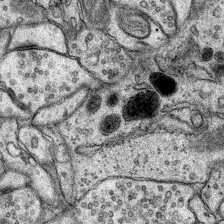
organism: Rat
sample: Hippocampus